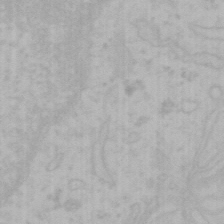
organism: Mouse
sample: Choroid plexus